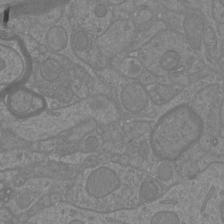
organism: Mouse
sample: Cortical neurons